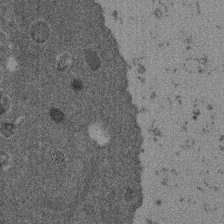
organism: Mouse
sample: Dividing mouse embryo 1 cell stage